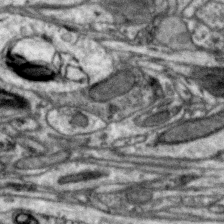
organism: Zebra finch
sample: Brain